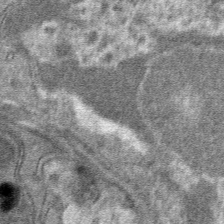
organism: Mouse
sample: Mouse hepatocytes